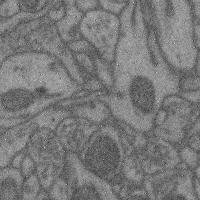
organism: Mouse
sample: Cerebral cortex